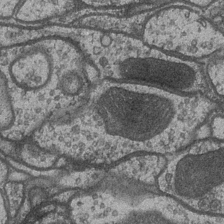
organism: Drosophila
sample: Optic medulla